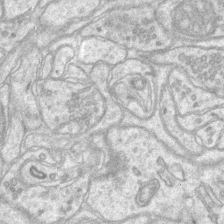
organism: Mouse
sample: CA1 Hippocampus